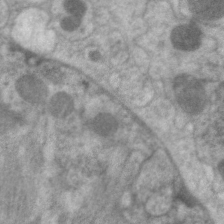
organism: C. elegans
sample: Pharynx